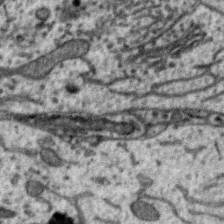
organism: Zebra finch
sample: Brain